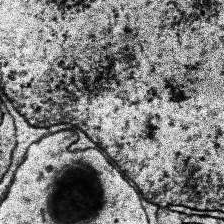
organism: Human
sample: Temporal Lobe